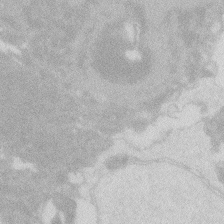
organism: Zebrafish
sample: Macrophage